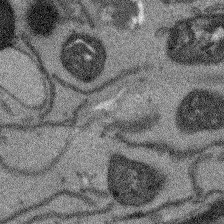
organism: Arabidopsis thaliana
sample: Root tip